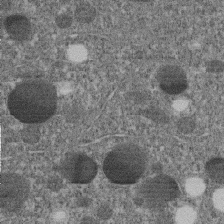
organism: C. elegans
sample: C. elegans embryo early stage